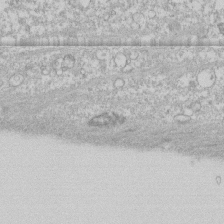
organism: Human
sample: CRL-1474